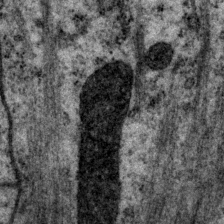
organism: P. pacificus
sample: Pharynx